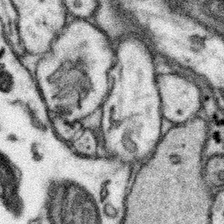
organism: Mouse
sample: Somatosensory cortex neuropil